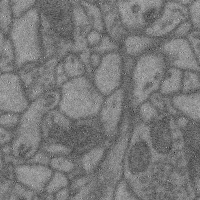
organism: Mouse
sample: Cerebral cortex